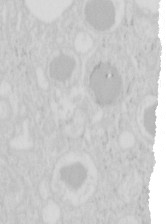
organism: Mouse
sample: Pancreas